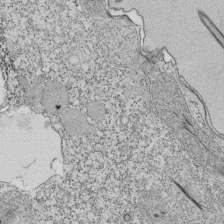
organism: Tetrahymena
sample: Cilia in tetrahymena